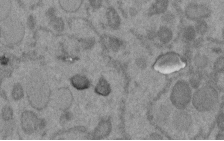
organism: C. elegans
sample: C. elegans embryo early stage